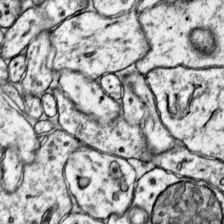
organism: Mouse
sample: Primary visual cortex